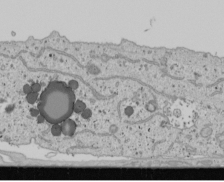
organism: Human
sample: Mitochondria in U2OS cells